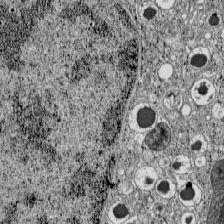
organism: C57BL Mouse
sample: Pancreatic islet